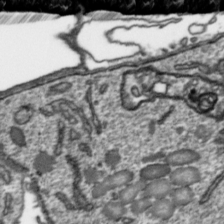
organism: Toxoplasma gondii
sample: Parasites in a vacuole inside a host cell